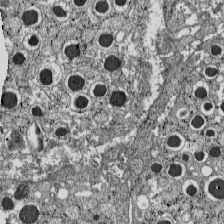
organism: C57BL Mouse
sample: Pancreatic islet